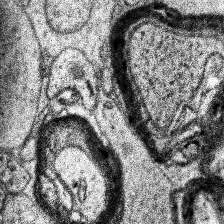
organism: Human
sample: Temporal Lobe